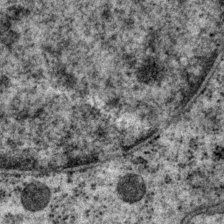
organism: P. pacificus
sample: Pharynx